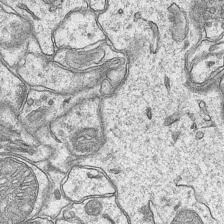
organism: Mouse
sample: CA1 Hippocampus